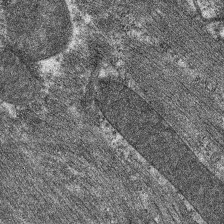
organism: C. elegans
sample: Pharynx